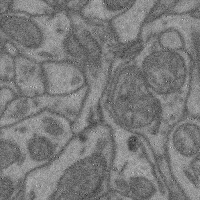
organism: Mouse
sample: Cerebral cortex